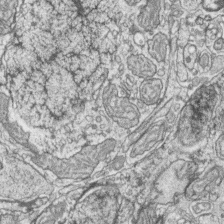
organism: Zebrafish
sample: synaptic ribbons in rod cells and cone cells